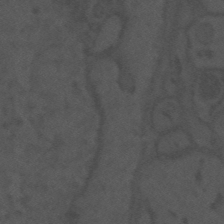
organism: Mouse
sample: Suprachiasmatic nucleus